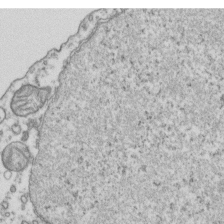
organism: Human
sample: Activated Jurkat CD4+ T cells